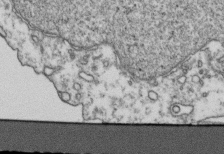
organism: Human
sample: Activated Jurkat CD4+ T cells